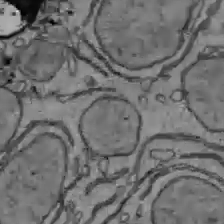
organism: C57BL Mouse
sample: Liver